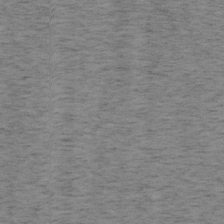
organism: Mouse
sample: OT-I killer T cells with ID8 ovarian cancer cells